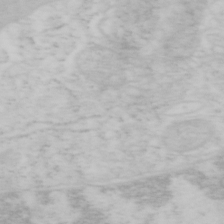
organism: Mouse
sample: OT-I killer T cells with ID8 ovarian cancer cells